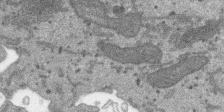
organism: Human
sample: Lung epithelial cells infected with SARS-CoV-2